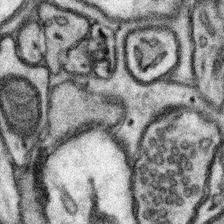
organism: Mouse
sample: Somatosensory cortex neuropil